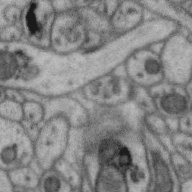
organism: Zebra finch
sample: Brain